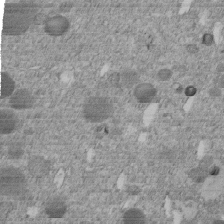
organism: C. elegans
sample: C. elegans embryo early stage